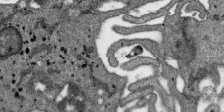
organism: Human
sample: Lung epithelial cells, uninfected (mock) control